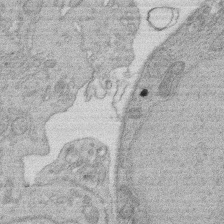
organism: Rat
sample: Salivary granule